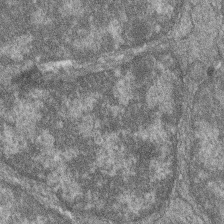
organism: Zebrafish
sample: Cilia; retinal pigment epithelium